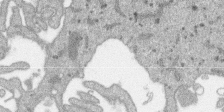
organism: Human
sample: Lung epithelial cells infected with SARS-CoV-2